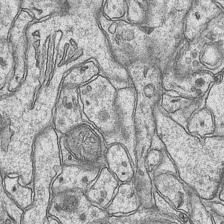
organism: Mouse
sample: CA1 Hippocampus